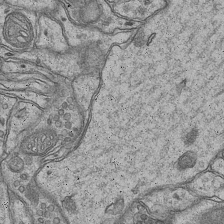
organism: Mouse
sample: CA1 Hippocampus